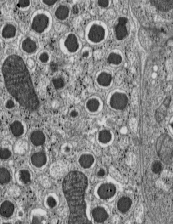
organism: C57BL Mouse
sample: Pancreatic islet